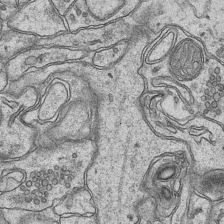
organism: Mouse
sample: CA1 Hippocampus